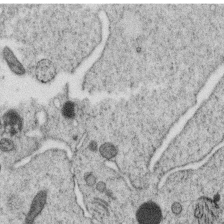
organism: C. elegans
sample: C. elegans oocyte; sperm cells